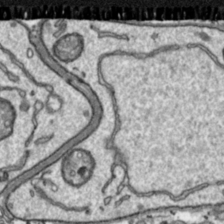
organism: Toxoplasma gondii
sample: Parasites in a vacuole inside a host cell